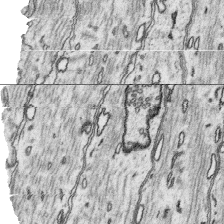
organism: Platynereis dumerilii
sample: Parapodia